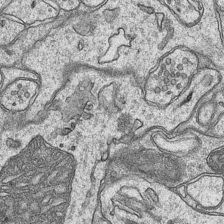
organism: Mouse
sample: CA1 Hippocampus